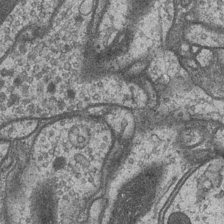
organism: Drosophila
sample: Optic medulla